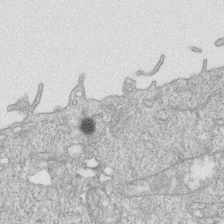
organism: Human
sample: HeLa cell HIV synapse